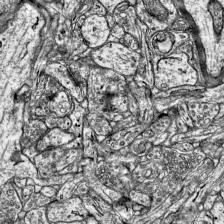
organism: Mouse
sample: Visual Cortex